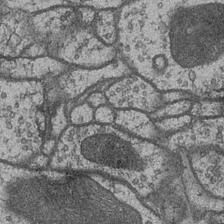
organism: Drosophila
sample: Optic medulla